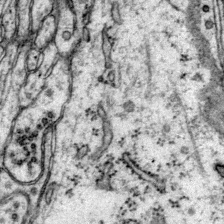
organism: Mouse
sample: Primary visual cortex